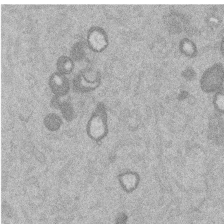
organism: Mouse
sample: Dividing mouse embryo 1 cell stage